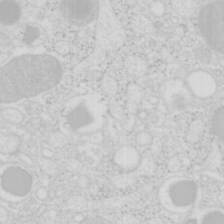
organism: Mouse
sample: Pancreas